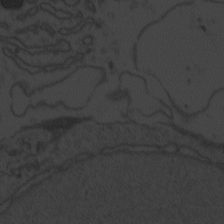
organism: Zebrafish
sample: Macrophage infected with Toxoplasma gondii